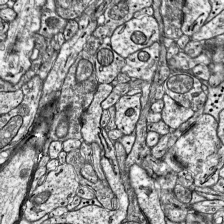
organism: Mouse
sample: Visual Cortex